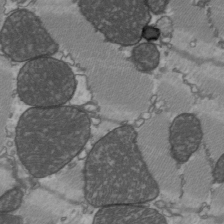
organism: C57BL Mouse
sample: Heart